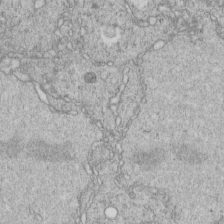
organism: C. elegans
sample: C. elegans embryo early stage